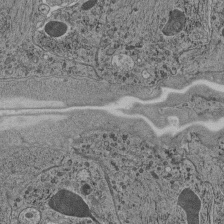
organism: C. elegans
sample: C. elegans pharynx